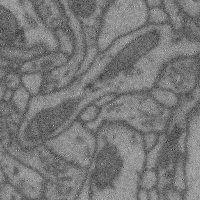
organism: Mouse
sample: Cerebral cortex